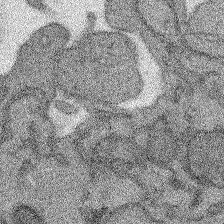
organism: Human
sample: HeLa cells